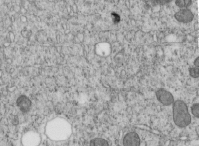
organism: C. elegans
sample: C. elegans embryo early stage